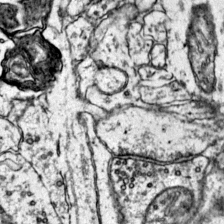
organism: Mouse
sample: Primary visual cortex